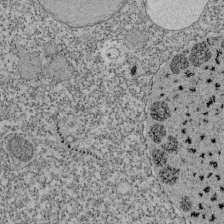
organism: Tetrahymena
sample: Cilia in tetrahymena